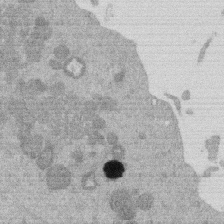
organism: Mouse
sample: Dividing mouse embryo 1 cell stage